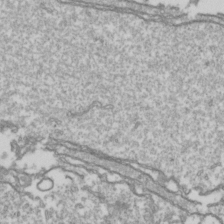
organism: Drosophila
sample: Cell division; meiosis; drosophila spermatocytes